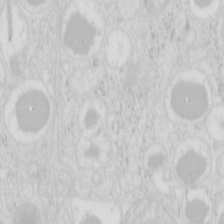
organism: Mouse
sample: Pancreas